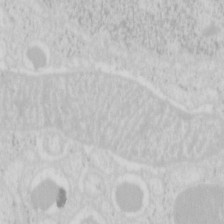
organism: Mouse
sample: Pancreas